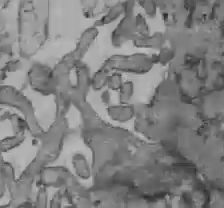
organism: C57BL Mouse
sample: Liver